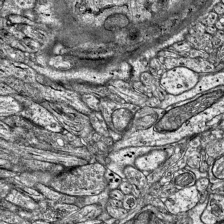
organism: Mouse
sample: Visual Cortex